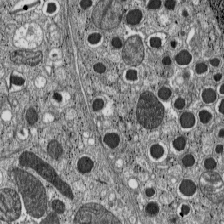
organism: C57BL Mouse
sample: Pancreatic islet